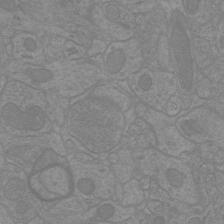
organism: Mouse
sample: Cortical neurons